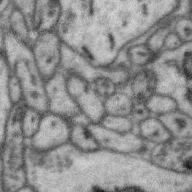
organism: Zebra finch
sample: Brain